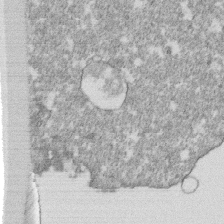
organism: African green monkey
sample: Vero E6 cells infected with SARS-CoV-2